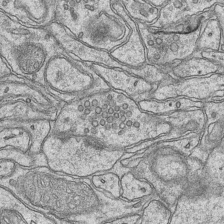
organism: Mouse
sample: CA1 Hippocampus